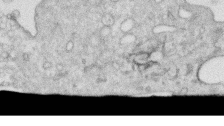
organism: Human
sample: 1205lu cells